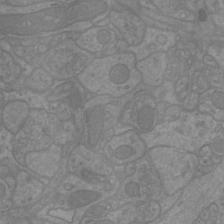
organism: Mouse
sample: Cortical neurons